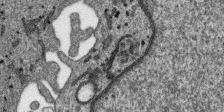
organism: Human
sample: Lung epithelial cells infected with SARS-CoV-2